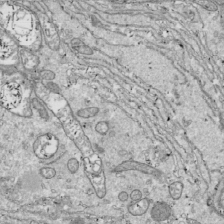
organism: Drosophila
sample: Cell division; meiosis; drosophila spermatocytes